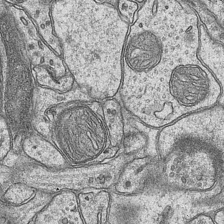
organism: Mouse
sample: CA1 Hippocampus